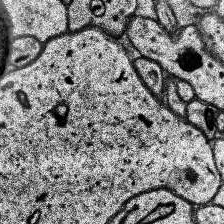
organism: Human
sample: Temporal Lobe